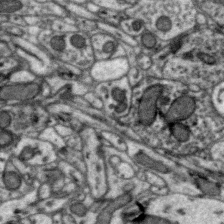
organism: Zebra finch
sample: Brain